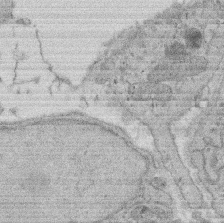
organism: Rat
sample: Salivary granule